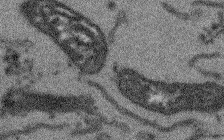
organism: Arabidopsis thaliana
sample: Root tip